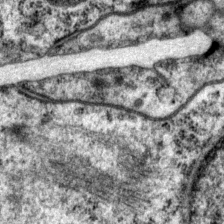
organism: P. pacificus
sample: Pharynx